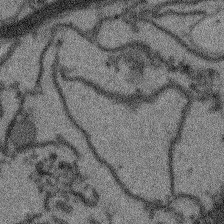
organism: Arabidopsis thaliana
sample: Root tip